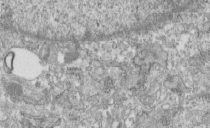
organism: Human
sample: Centriole in fibroblast cells